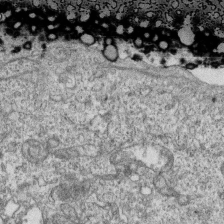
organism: Human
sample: HeLa cell HIV synapse